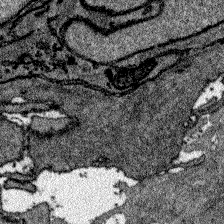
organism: Zebrafish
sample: Larval olfactory bulb